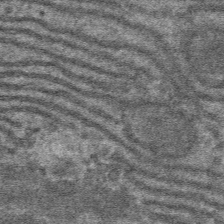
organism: Mouse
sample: Mouse hepatocytes